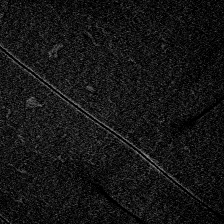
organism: Zebrafish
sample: Whole-Brain